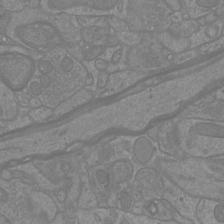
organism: Mouse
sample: Cortical neurons